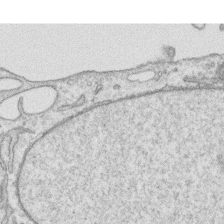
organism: Human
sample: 1205lu cells